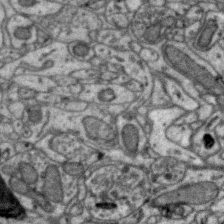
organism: Zebra finch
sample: Brain